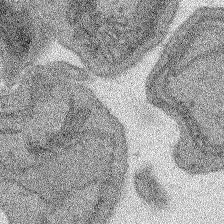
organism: Human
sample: HeLa cells